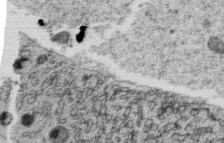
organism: C. elegans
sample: C. elegans oocyte; sperm cells